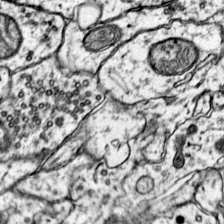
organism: Mouse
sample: Primary visual cortex